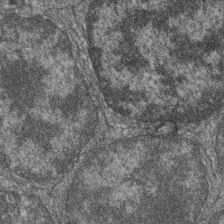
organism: Zebrafish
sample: Cilia; retinal pigment epithelium